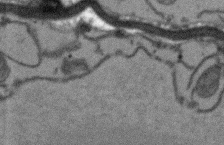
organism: Arabidopsis thaliana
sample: Root tip